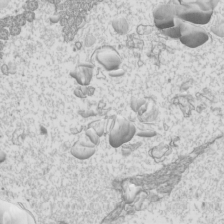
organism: Mouse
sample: Cilia; mouse epididymis